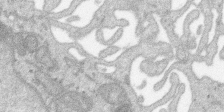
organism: Human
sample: Lung epithelial cells infected with SARS-CoV-2